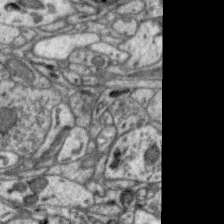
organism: Zebra finch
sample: Brain